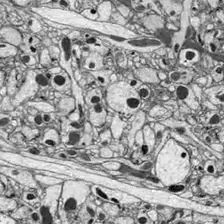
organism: Drosophila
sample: Optic lobe